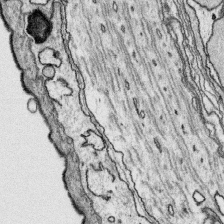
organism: Platynereis dumerilii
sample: Parapodia